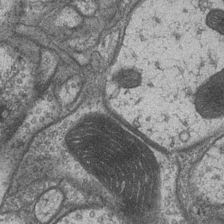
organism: Drosophila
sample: Optic medulla